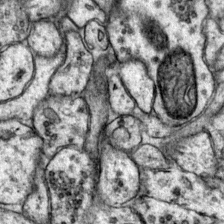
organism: Mouse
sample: Primary visual cortex